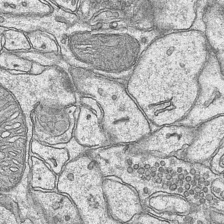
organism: Mouse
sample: CA1 Hippocampus